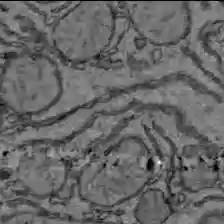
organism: C57BL Mouse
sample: Liver